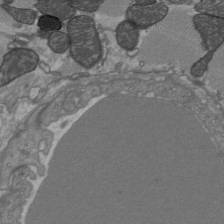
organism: C57BL Mouse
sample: Heart